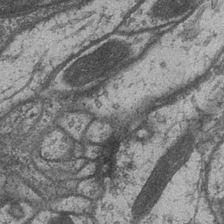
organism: Drosophila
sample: Optic medulla